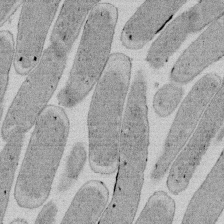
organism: E. coli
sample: Bacterial nucleoid